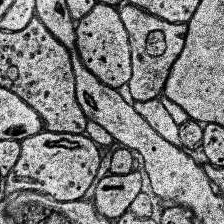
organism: Human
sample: Temporal Lobe